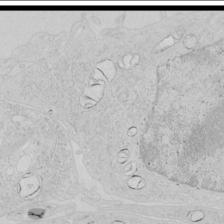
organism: Human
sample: Mitochondria in HCT116 cells